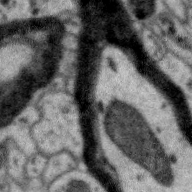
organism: Zebra finch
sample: Brain